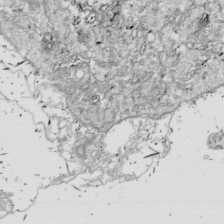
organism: Drosophila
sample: Cell division; meiosis; drosophila spermatocytes